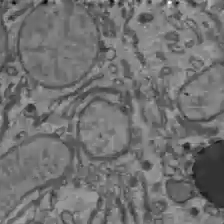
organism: C57BL Mouse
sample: Liver